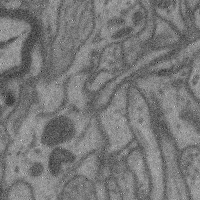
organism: Mouse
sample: Cerebral cortex